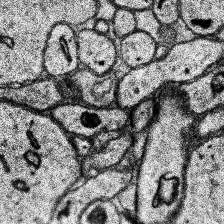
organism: Human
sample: Temporal Lobe